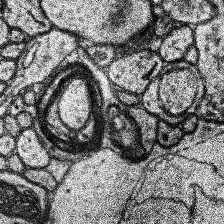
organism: Human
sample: Temporal Lobe